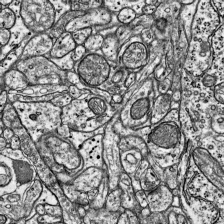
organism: Mouse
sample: Visual Cortex